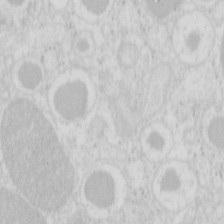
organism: Mouse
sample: Pancreas